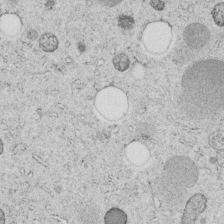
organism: C. elegans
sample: C. elegans embryo early stage